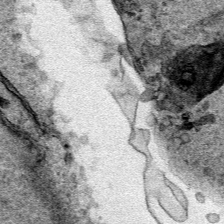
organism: Human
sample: Mitochondria in HCT116 cells